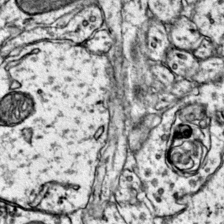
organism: Mouse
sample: Primary visual cortex